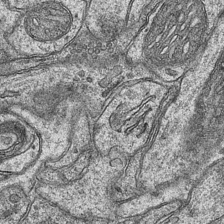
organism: Mouse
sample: CA1 Hippocampus